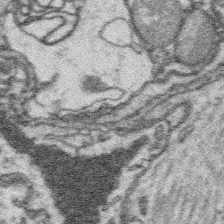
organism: Platynereis dumerilii